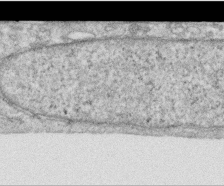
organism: Human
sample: Centriole in RPE cells